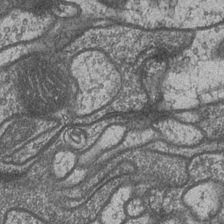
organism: Drosophila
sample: Optic medulla